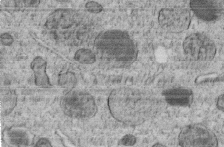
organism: C. elegans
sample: C. elegans embryo early stage